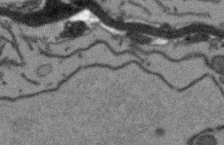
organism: Arabidopsis thaliana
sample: Root tip